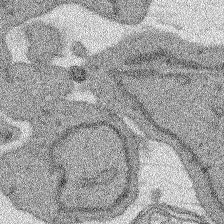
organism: Human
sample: HeLa cells